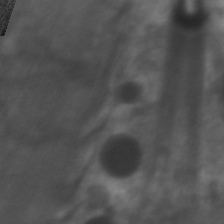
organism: C. elegans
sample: Pharynx